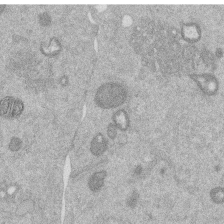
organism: Mouse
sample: Dividing mouse embryo 1 cell stage